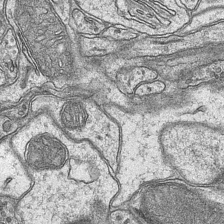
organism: Mouse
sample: CA1 Hippocampus